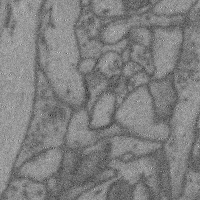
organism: Mouse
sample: Cerebral cortex